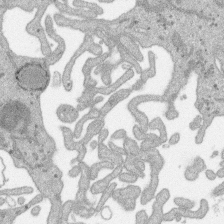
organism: Human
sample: Lung epithelial cells infected with SARS-CoV-2